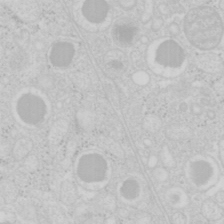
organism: Mouse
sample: Pancreas